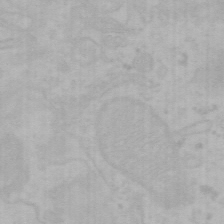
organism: Mouse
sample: Choroid plexus